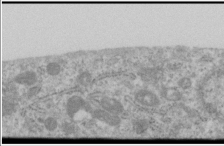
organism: Human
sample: Cilia; basal body in RPE cells